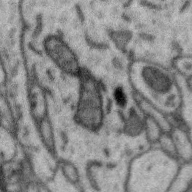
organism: Zebra finch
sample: Brain